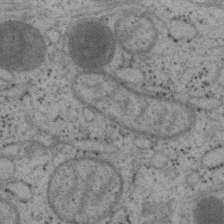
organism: Human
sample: HeLa cells